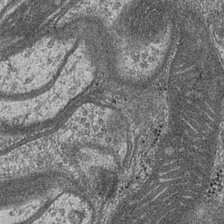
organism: Drosophila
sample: Optic medulla